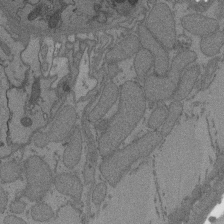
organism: C. elegans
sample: AFD neurons C. elegans